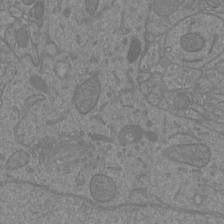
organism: Mouse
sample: Cortical neurons